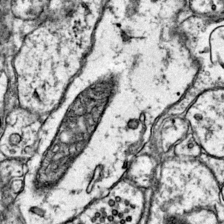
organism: Mouse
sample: Primary visual cortex